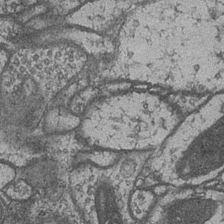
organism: Drosophila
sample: Optic medulla